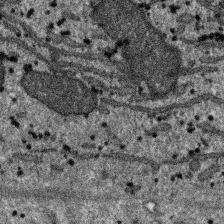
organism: Human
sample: Lung epithelial cells infected with SARS-CoV-2